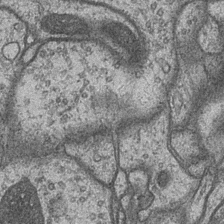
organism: Drosophila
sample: Optic medulla